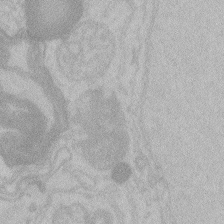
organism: Zebrafish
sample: Macrophage infected with Toxoplasma gondii